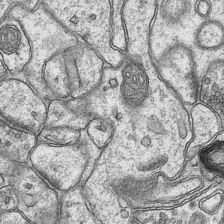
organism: Mouse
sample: CA1 Hippocampus